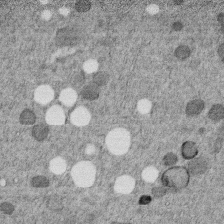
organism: C. elegans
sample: C. elegans embryo early stage